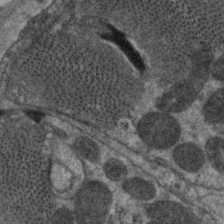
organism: C. elegans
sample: Pharynx